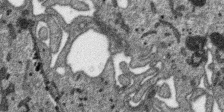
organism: Human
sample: Lung epithelial cells infected with SARS-CoV-2